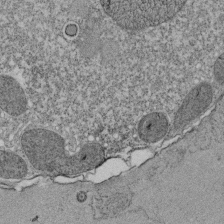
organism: Tetrahymena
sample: Cilia in tetrahymena